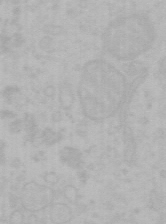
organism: Mouse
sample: Choroid plexus